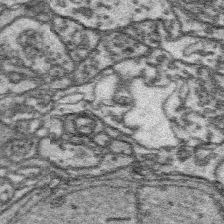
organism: Platynereis dumerilii